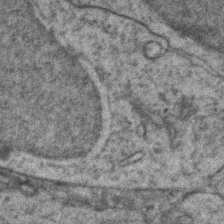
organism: Zebrafish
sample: Zebrafish embryo